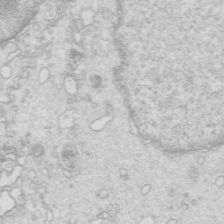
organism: Mouse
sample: Multiciliated cells